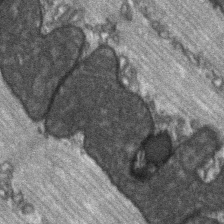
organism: C57BL Mouse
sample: Soleus